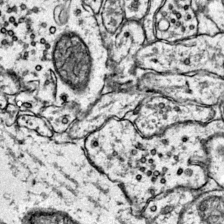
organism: Mouse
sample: Primary visual cortex